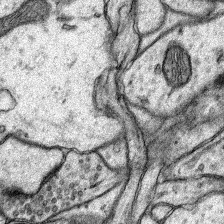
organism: Rat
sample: Hippocampus